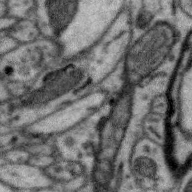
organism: Zebra finch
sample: Brain